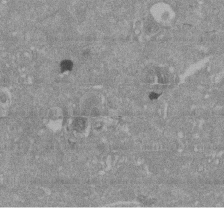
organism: Mouse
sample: ED-1 cell nuclei; centrioles